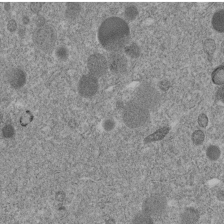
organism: C. elegans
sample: C. elegans embryo early stage